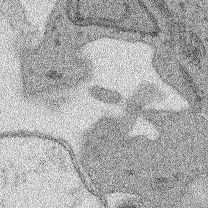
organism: Human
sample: HeLa cells